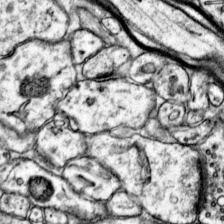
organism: Mouse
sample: Primary visual cortex